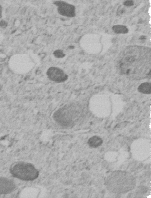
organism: C. elegans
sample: C. elegans embryo early stage